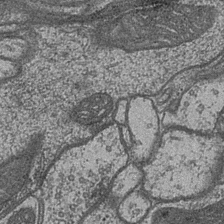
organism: Drosophila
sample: Optic medulla